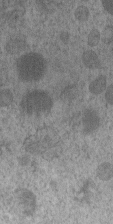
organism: C. elegans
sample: C. elegans embryo early stage